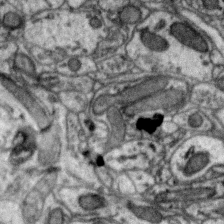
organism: Zebra finch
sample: Brain